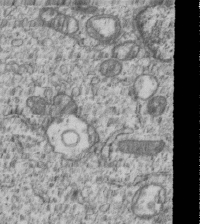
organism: Human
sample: MDA-MB-231 cells